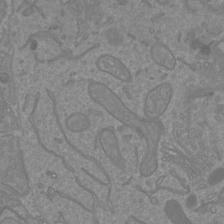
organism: Mouse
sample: Cortical neurons